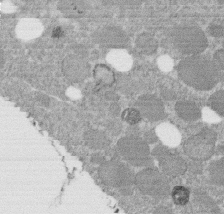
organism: C. elegans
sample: C. elegans embryo early stage